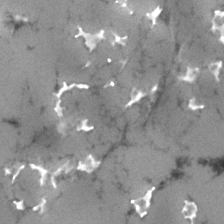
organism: Human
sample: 1205lu cells